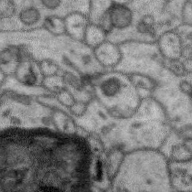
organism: Zebra finch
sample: Brain